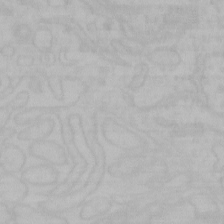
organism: Mouse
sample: Choroid plexus